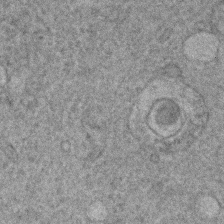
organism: Human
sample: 1205lu cells